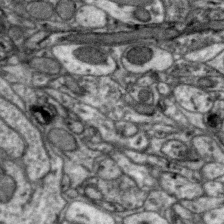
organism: Zebra finch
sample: Brain